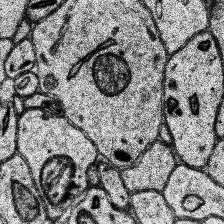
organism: Human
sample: Temporal Lobe